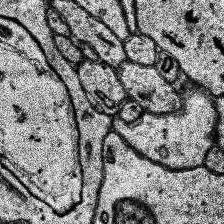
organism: Human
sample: Temporal Lobe